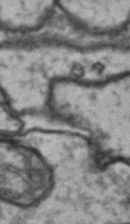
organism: Drosophila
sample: Brain